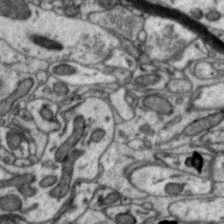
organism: Zebra finch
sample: Brain